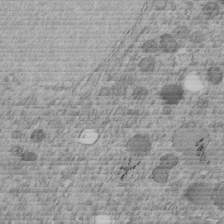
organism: C. elegans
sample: C. elegans embryo early stage